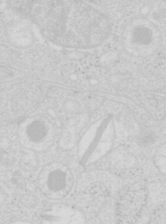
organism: Mouse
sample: Pancreas